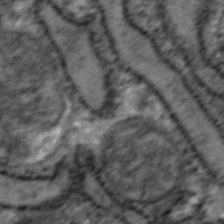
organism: Zebrafish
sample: Zebrafish embryo